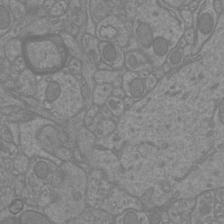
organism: Mouse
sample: Cortical neurons